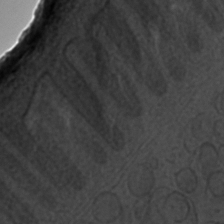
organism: C. elegans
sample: C. elegans embryo